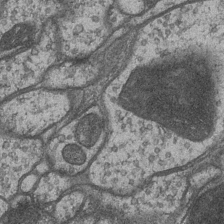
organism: Drosophila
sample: Optic medulla